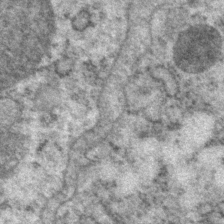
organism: P. pacificus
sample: Pharynx